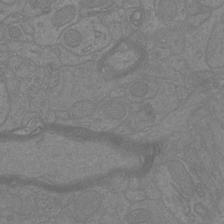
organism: Mouse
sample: Cortical neurons